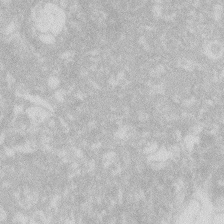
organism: Zebrafish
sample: Macrophage